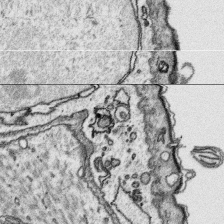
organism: Platynereis dumerilii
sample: Parapodia